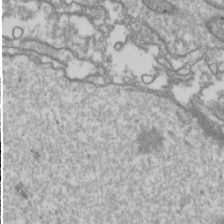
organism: Drosophila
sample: Cell division; meiosis; drosophila spermatocytes